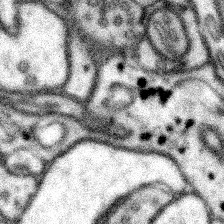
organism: Mouse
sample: Somatosensory cortex neuropil